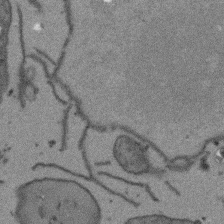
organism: Arabidopsis thaliana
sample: Root tip